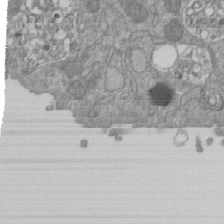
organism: Mouse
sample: ED-1 cell nuclei; centrioles